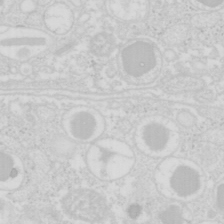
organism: Mouse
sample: Pancreas